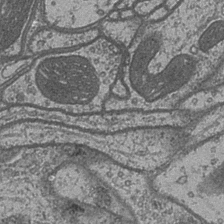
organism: Drosophila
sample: Optic medulla